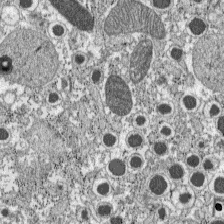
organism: C57BL Mouse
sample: Pancreatic islet